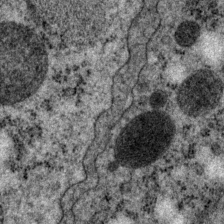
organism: P. pacificus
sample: Pharynx